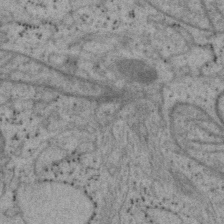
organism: Human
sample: HeLa cells